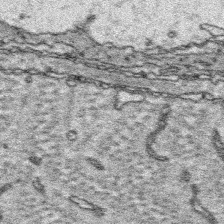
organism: Platynereis dumerilii